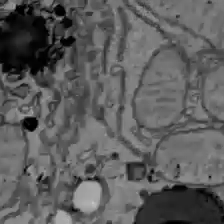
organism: C57BL Mouse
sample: Liver